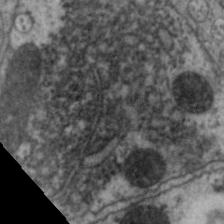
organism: C. elegans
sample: Pharynx